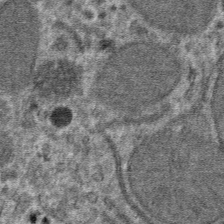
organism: Mouse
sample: Mouse hepatocytes